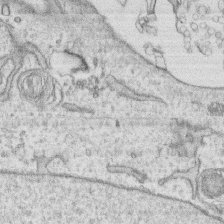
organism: Human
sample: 1205lu cells